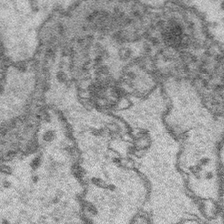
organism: Platynereis dumerilii